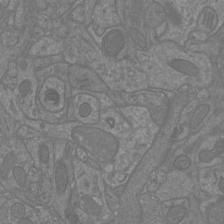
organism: Mouse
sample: Cortical neurons